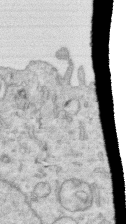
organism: Human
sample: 1205lu cells